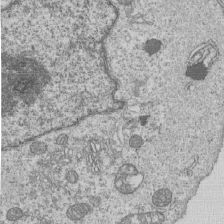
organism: Human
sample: MDA-MB-231 cells